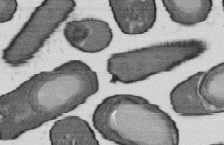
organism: B. subtilis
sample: Bacterial spore